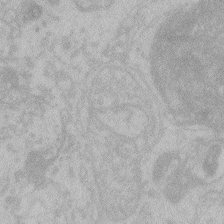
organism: Zebrafish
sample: Macrophage infected with Toxoplasma gondii